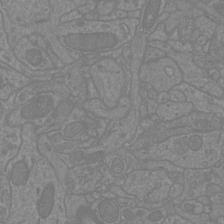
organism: Mouse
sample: Cortical neurons